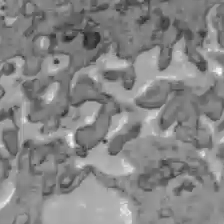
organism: C57BL Mouse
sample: Liver